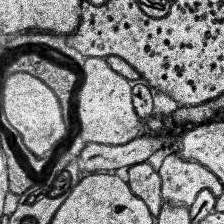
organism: Human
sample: Temporal Lobe